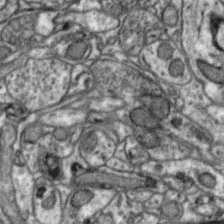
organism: Zebra finch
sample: Brain